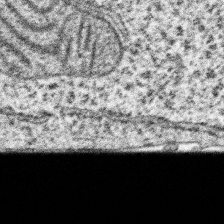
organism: Human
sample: HeLa cells